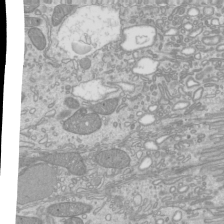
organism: Mouse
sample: Cilia; mouse epididymis